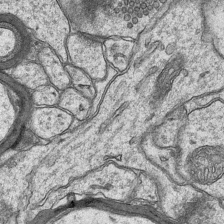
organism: Mouse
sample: CA1 Hippocampus